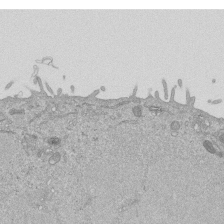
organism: Mouse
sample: ED-1 cell nuclei; centrioles